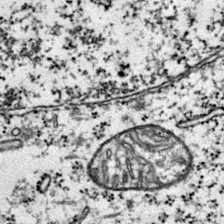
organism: Mouse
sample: Primary visual cortex